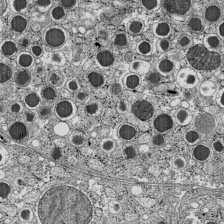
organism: C57BL Mouse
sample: Pancreatic islet